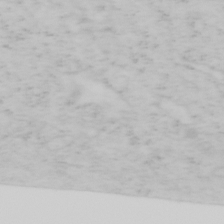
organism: Mouse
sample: OT-I killer T cells with ID8 ovarian cancer cells